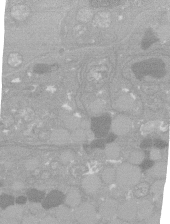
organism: C. elegans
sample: C. elegans oocyte; sperm cells